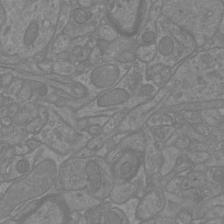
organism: Mouse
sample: Cortical neurons